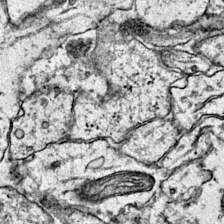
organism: Mouse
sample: Primary visual cortex